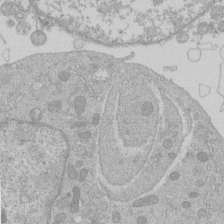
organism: Human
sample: Macrophage cells